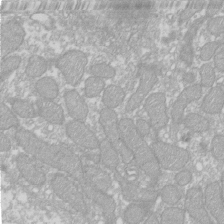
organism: Xenopus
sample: Cilia; centrioles in frog embryo cells